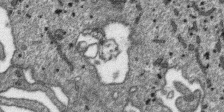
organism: Human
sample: Lung epithelial cells infected with SARS-CoV-2